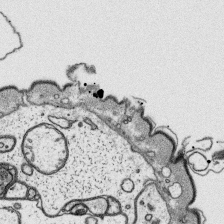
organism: Platynereis dumerilii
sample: Parapodia